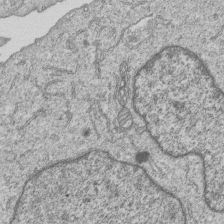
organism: Human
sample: MDA-MB-231 cells